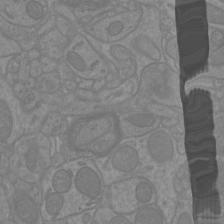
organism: Mouse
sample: Cortical neurons